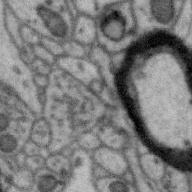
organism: Zebra finch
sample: Brain